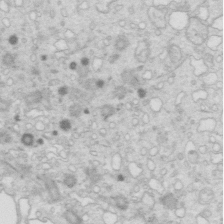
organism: Mouse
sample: Multiciliated cells